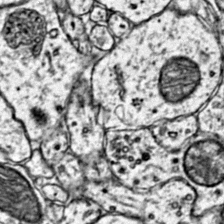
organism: Mouse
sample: Primary visual cortex